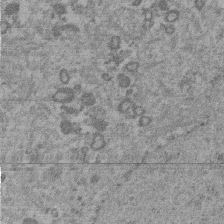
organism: Mouse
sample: Dividing mouse embryo 1 cell stage